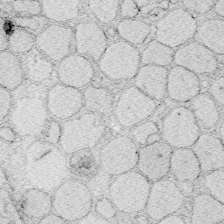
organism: Zebrafish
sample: Whole-Brain